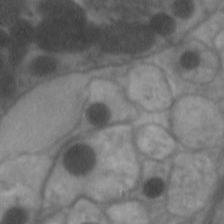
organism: C. elegans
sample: Pharynx